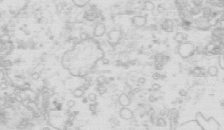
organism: Mouse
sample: Multiciliated cells